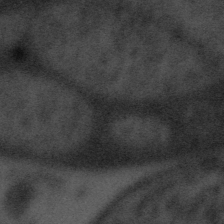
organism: Tuwongella immobilis